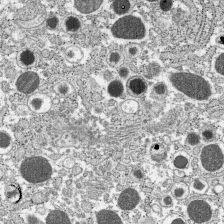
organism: C57BL Mouse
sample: Pancreatic islet